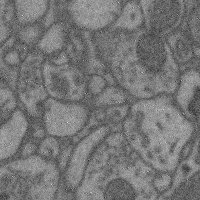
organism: Mouse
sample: Cerebral cortex